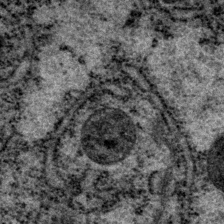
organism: P. pacificus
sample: Pharynx